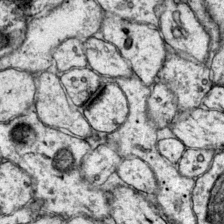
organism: Mouse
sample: Primary visual cortex